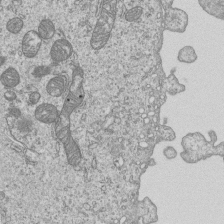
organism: Human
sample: MDA-MB-231 cells